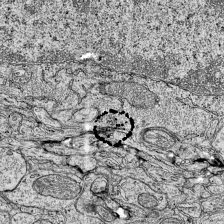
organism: Mouse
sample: Visual Cortex